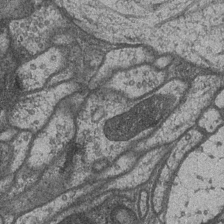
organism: Drosophila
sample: Optic medulla